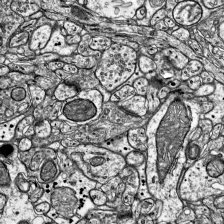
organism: Mouse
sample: Visual Cortex